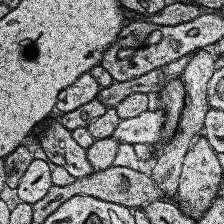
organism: Human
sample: Temporal Lobe